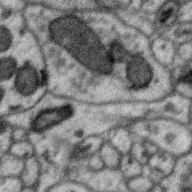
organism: Zebra finch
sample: Brain